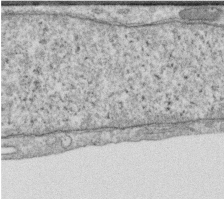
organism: Human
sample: Centriole in RPE cells